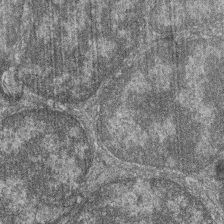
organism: Zebrafish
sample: Cilia; retinal pigment epithelium